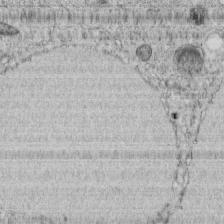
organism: C. elegans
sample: C. elegans embryo early stage